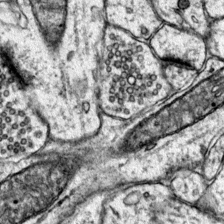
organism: Mouse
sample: Primary visual cortex